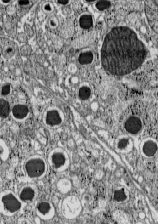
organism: C57BL Mouse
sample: Pancreatic islet